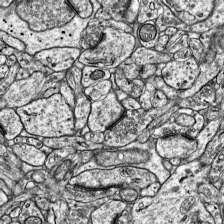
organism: Mouse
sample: Visual Cortex